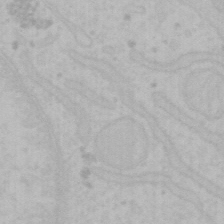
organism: Mouse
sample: Choroid plexus